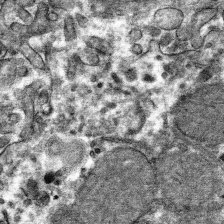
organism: Mouse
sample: Mouse hepatocytes